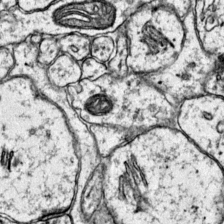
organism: Mouse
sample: Primary visual cortex